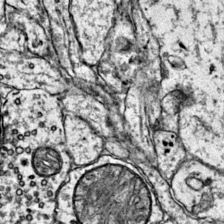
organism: Mouse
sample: Primary visual cortex